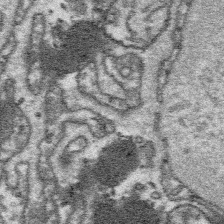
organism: Platynereis dumerilii